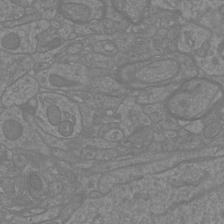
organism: Mouse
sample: Cortical neurons